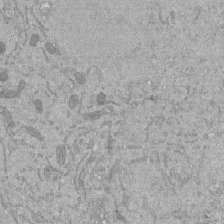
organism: Mouse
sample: ED-1 cell nuclei; centrioles